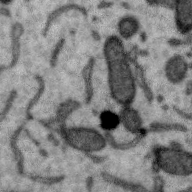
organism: Zebra finch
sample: Brain